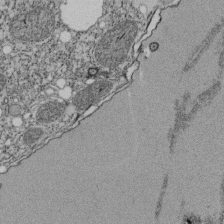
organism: Tetrahymena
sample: Cilia in tetrahymena